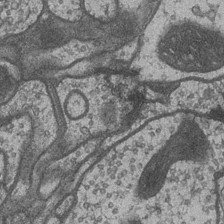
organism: Drosophila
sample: Optic medulla